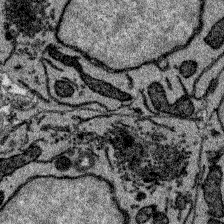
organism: Zebrafish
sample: Larval olfactory bulb